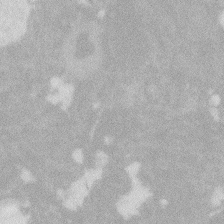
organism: Zebrafish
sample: Macrophage